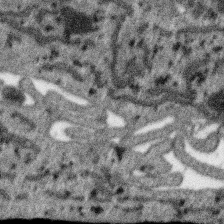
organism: Human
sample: Lung epithelial cells infected with SARS-CoV-2